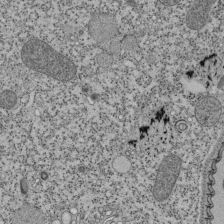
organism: Tetrahymena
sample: Cilia in tetrahymena